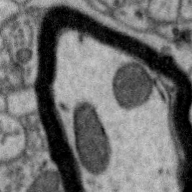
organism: Zebra finch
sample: Brain